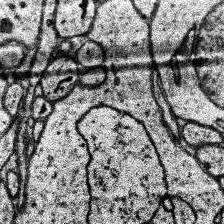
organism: Human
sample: Temporal Lobe